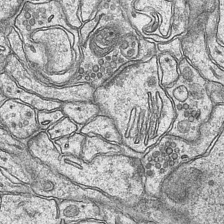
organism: Mouse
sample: CA1 Hippocampus